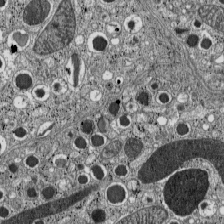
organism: C57BL Mouse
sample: Pancreatic islet